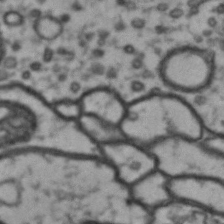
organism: Drosophila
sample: Brain